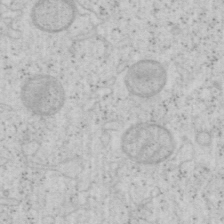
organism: Human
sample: HeLa cells